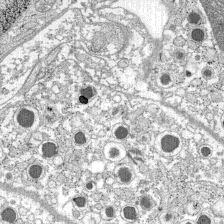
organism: C57BL Mouse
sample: Pancreatic islet